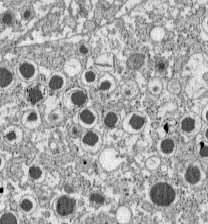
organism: C57BL Mouse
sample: Pancreatic islet